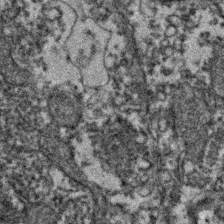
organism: Zebrafish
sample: Zebrafish embryo